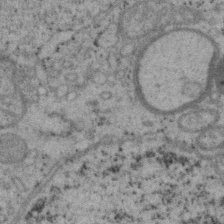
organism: Human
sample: HeLa cells